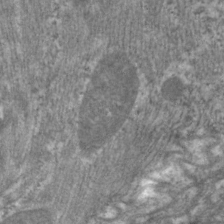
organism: C. elegans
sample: Pharynx